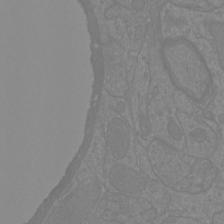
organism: Mouse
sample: Cortical neurons